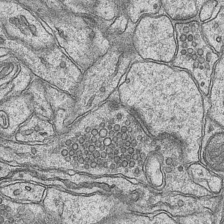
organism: Mouse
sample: CA1 Hippocampus